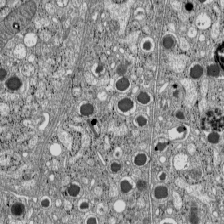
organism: C57BL Mouse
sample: Pancreatic islet